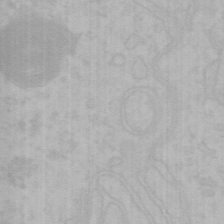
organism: Mouse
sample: Choroid plexus